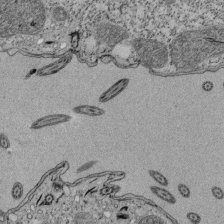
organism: Tetrahymena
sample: Cilia in tetrahymena